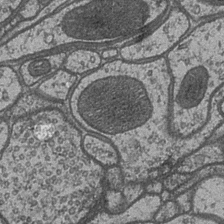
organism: Drosophila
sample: Optic medulla